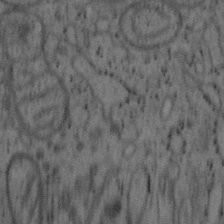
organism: Human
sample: HeLa cells